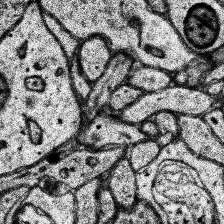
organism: Human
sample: Temporal Lobe